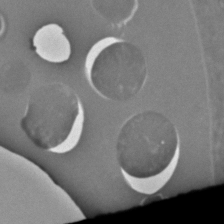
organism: C. elegans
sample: C. elegans embryo